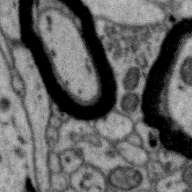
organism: Zebra finch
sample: Brain